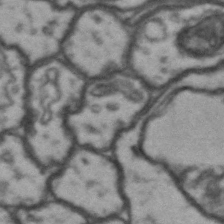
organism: Drosophila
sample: Brain